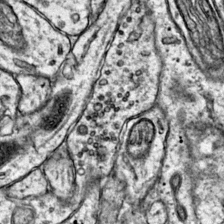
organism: Mouse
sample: Primary visual cortex